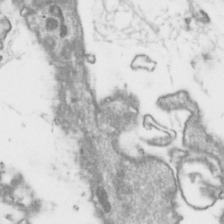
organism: Toxoplasma gondii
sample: Parasites in a vacuole inside a host cell